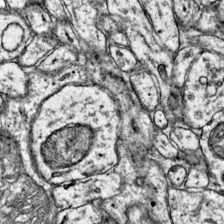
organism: Mouse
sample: Primary visual cortex